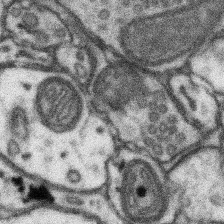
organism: Mouse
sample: Somatosensory cortex neuropil